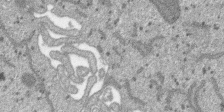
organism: Human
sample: Lung epithelial cells infected with SARS-CoV-2